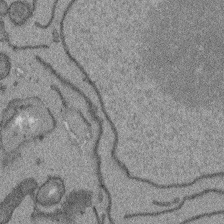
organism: Arabidopsis thaliana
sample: Root tip